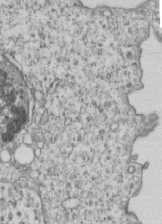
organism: Human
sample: MDA-MB-231 cells